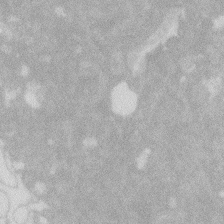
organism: Zebrafish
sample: Macrophage